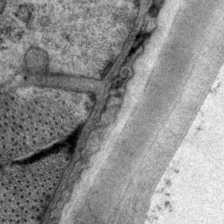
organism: P. pacificus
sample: Pharynx